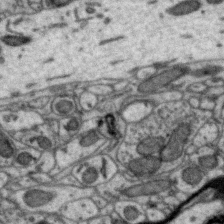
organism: Zebra finch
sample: Brain